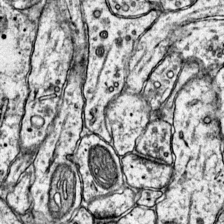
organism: Mouse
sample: Primary visual cortex